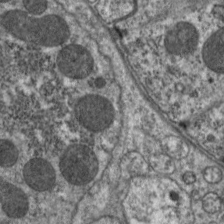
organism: C. elegans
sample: Pharynx